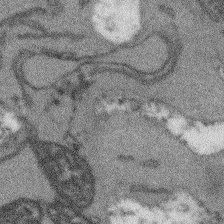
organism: Arabidopsis thaliana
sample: Root tip